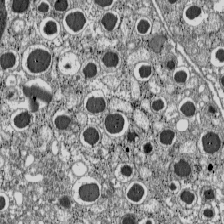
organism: C57BL Mouse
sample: Pancreatic islet